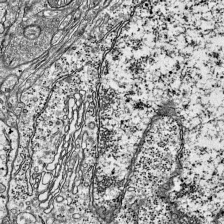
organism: Mouse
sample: Visual Cortex